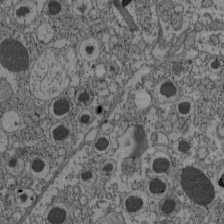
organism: C57BL Mouse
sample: Pancreatic islet